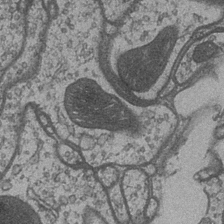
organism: Drosophila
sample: Optic medulla